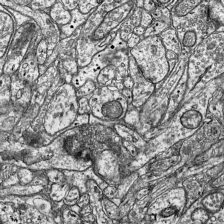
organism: Mouse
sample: Visual Cortex